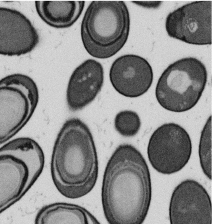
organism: B. subtilis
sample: Bacterial spore